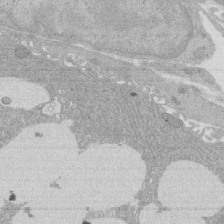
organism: Rat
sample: Salivary granule